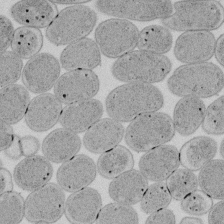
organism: E. coli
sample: Bacterial nucleoid